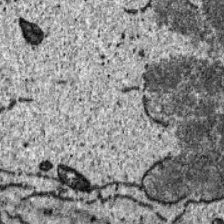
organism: Human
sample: HeLa cells